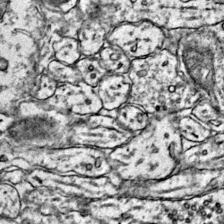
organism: Mouse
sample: Primary visual cortex